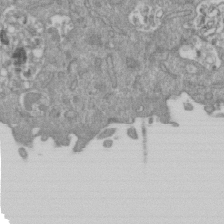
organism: Mouse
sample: ED-1 cell nuclei; centrioles